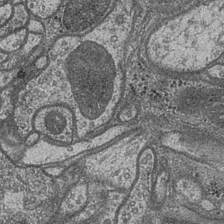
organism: Drosophila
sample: Optic medulla